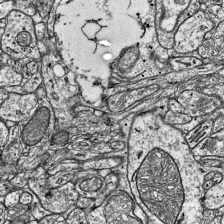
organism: Mouse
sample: Visual Cortex